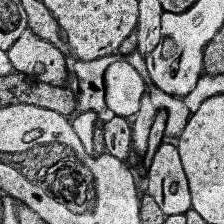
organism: Human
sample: Temporal Lobe